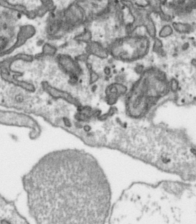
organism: Toxoplasma gondii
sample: Parasites in a vacuole inside a host cell